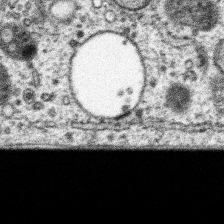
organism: Human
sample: HeLa cells